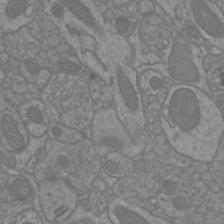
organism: Mouse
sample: Cortical neurons